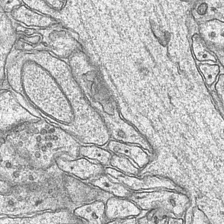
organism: Mouse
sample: CA1 Hippocampus